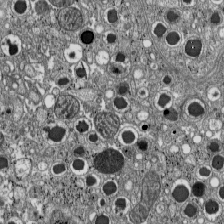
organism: C57BL Mouse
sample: Pancreatic islet